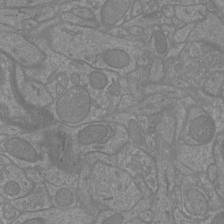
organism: Mouse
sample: Cortical neurons